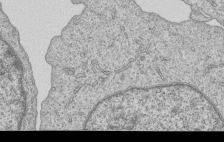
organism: Human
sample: MDA-MB-231 cells